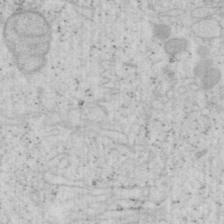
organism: Human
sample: HeLa cells